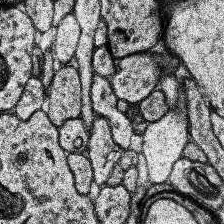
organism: Human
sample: Temporal Lobe